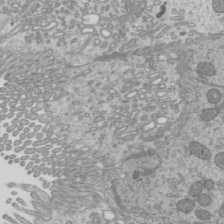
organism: Mouse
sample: Cilia; mouse epididymis